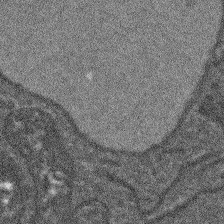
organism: Arabidopsis thaliana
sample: Root tip